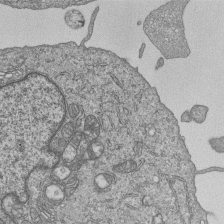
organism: Human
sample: MDA-MB-231 cells